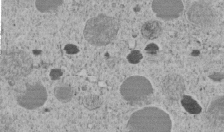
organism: C. elegans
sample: C. elegans embryo early stage